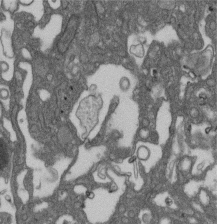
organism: Drosophila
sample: Nephrocyte